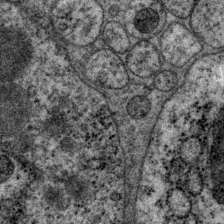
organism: P. pacificus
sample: Pharynx